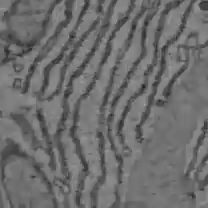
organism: C57BL Mouse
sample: Liver